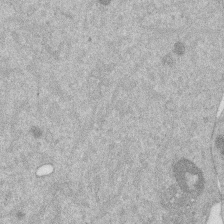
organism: Mouse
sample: Dividing mouse embryo 1 cell stage